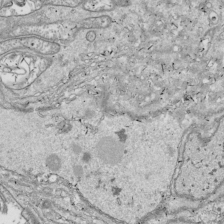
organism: Drosophila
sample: Cell division; meiosis; drosophila spermatocytes